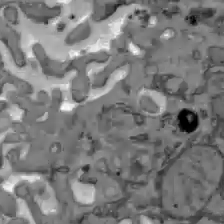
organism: C57BL Mouse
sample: Liver